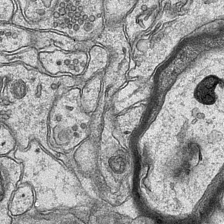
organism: Mouse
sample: CA1 Hippocampus